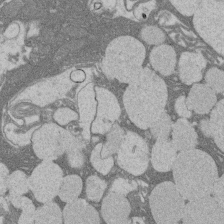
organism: Rat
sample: Salivary granule